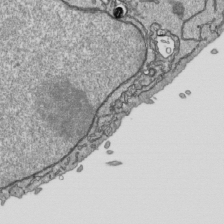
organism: Human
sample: Mitochondria in HCT116 cells